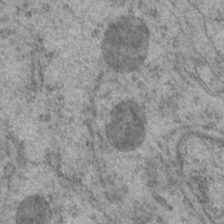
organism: P. pacificus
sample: Pharynx